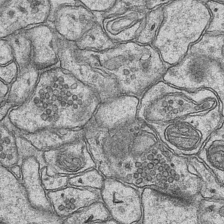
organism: Mouse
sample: CA1 Hippocampus